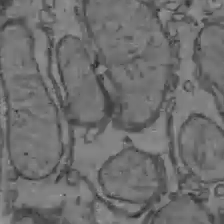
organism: C57BL Mouse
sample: Liver